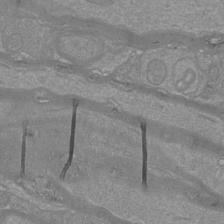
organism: Mouse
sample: Cortical neurons